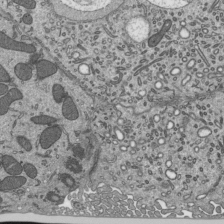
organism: Mouse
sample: Mouse epididymis efferent ductule cilia